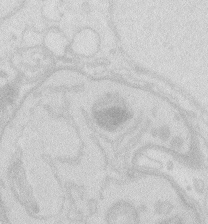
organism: Zebrafish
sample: Macrophage